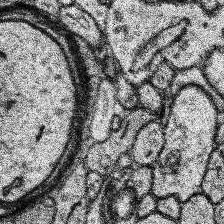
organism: Human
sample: Temporal Lobe